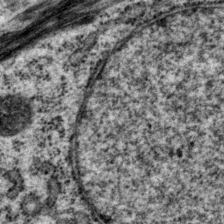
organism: P. pacificus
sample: Pharynx